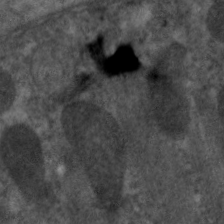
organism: C. elegans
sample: Pharynx